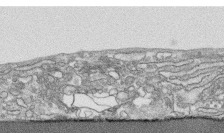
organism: Human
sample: CRL-1474